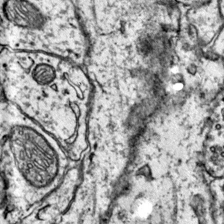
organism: Mouse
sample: Primary visual cortex